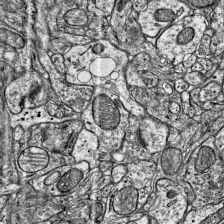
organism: Mouse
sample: Visual Cortex